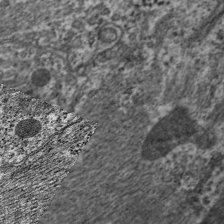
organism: C. elegans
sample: Pharynx